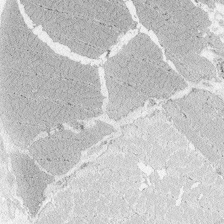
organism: Zebrafish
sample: Whole-Brain